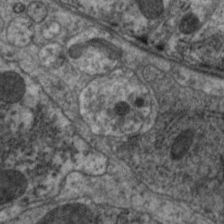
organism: C. elegans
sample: Pharynx